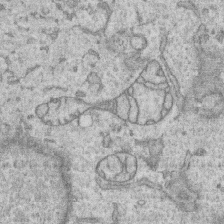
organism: Human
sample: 1205lu cells